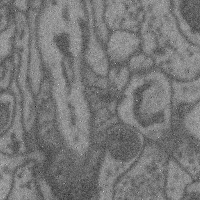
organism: Mouse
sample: Cerebral cortex